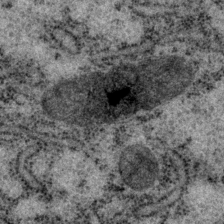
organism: P. pacificus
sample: Pharynx